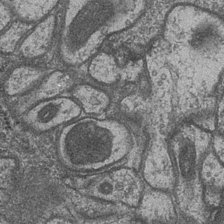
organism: Drosophila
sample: Optic medulla